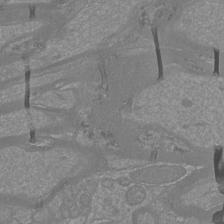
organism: Mouse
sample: Cortical neurons